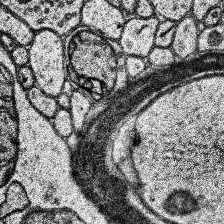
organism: Human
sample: Temporal Lobe